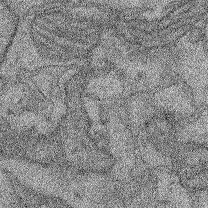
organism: Human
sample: HeLa cells